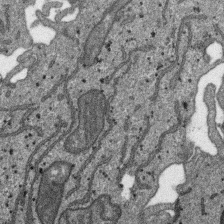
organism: Human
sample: Lung epithelial cells infected with SARS-CoV-2